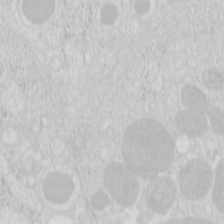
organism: Mouse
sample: Pancreas